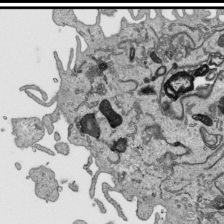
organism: Human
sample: Mitochondria in HCT116 cells